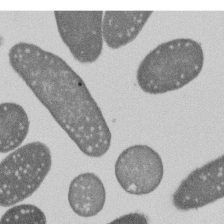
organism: E. coli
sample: Bacterial nucleoid